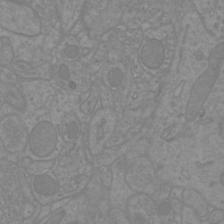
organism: Mouse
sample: Cortical neurons